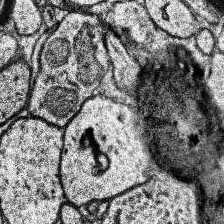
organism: Human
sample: Temporal Lobe